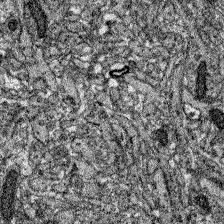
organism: Zebrafish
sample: Larval olfactory bulb